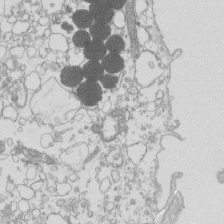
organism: Mouse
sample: Macrophages